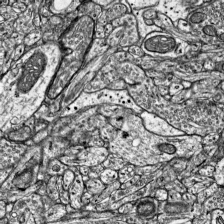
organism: Mouse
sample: Visual Cortex